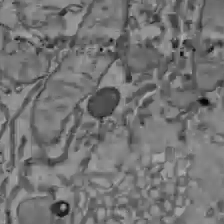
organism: C57BL Mouse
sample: Liver